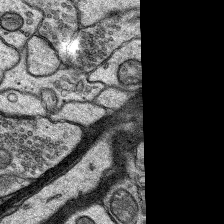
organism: Rat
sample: Hippocampus